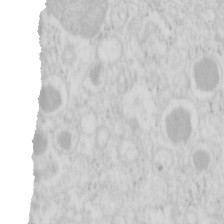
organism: Mouse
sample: Pancreas